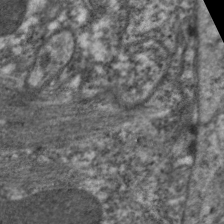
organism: C. elegans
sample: Pharynx